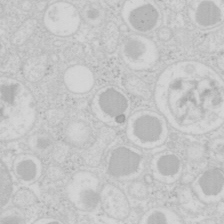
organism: Mouse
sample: Pancreas